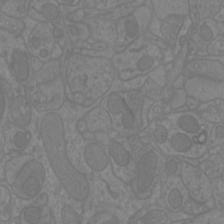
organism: Mouse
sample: Cortical neurons